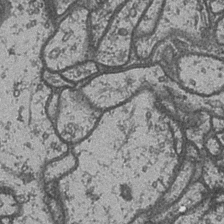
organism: Drosophila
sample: Optic medulla